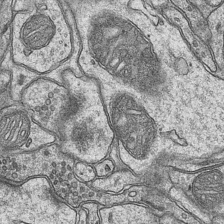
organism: Mouse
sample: CA1 Hippocampus